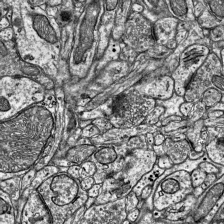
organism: Mouse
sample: Visual Cortex